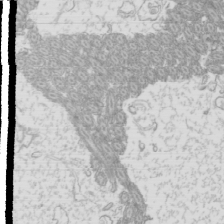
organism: Mouse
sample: Cilia; mouse epididymis